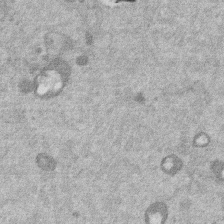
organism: Mouse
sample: Dividing mouse embryo 1 cell stage